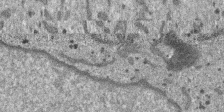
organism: Human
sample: Lung epithelial cells infected with SARS-CoV-2